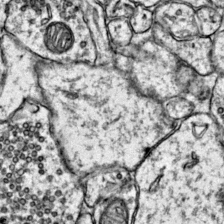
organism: Mouse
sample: Primary visual cortex